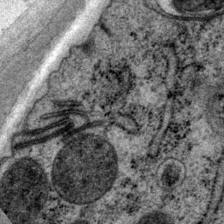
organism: P. pacificus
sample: Pharynx